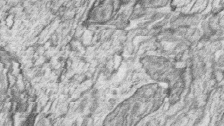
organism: Zebrafish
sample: synaptic ribbons in rod cells and cone cells